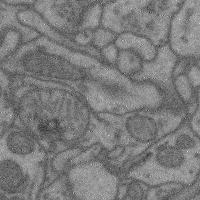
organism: Mouse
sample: Cerebral cortex